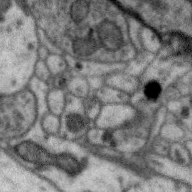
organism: Zebra finch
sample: Brain